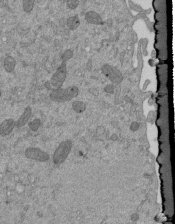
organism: Mouse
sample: ED-1 cell nuclei; centrioles